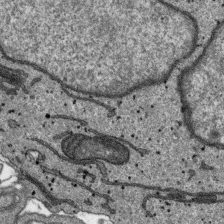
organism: Human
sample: Lung epithelial cells, uninfected (mock) control